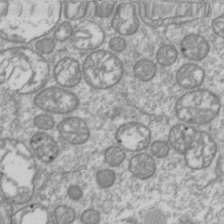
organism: Drosophila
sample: Cell division; meiosis; drosophila spermatocytes